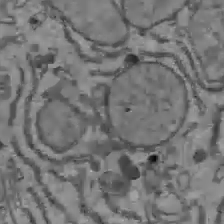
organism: C57BL Mouse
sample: Liver